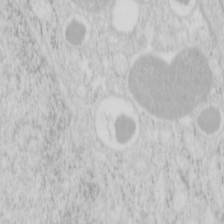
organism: Mouse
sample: Pancreas